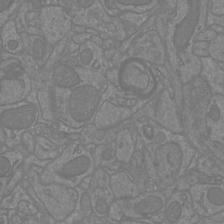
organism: Mouse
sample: Cortical neurons